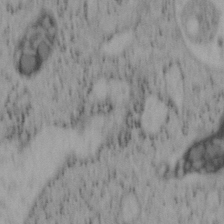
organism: Mouse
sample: OT-I killer T cells with ID8 ovarian cancer cells